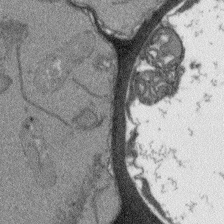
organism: Arabidopsis thaliana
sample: Root tip